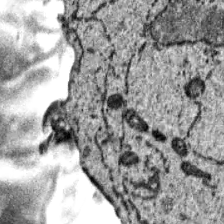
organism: Human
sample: HeLa cells